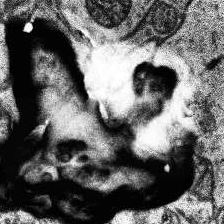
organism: Human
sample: Temporal Lobe